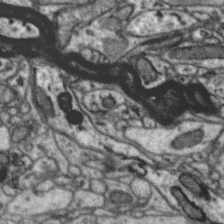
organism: Zebra finch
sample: Brain